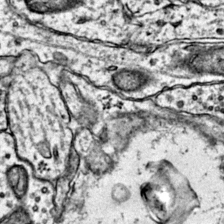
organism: Mouse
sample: Primary visual cortex